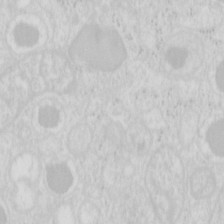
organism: Mouse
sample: Pancreas